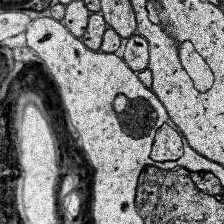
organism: Human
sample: Temporal Lobe